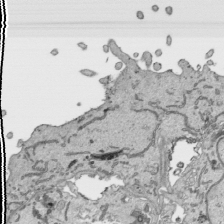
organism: Human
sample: Mitochondria in HCT116 cells